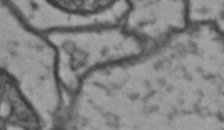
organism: Drosophila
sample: Brain